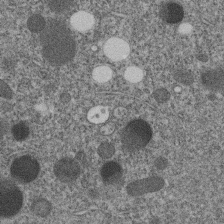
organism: C. elegans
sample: C. elegans embryo early stage